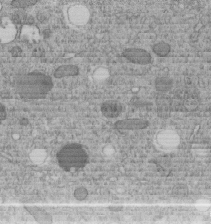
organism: C. elegans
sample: C. elegans embryo early stage